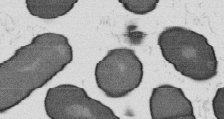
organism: B. subtilis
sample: Bacterial spore